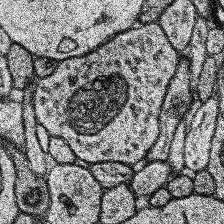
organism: Human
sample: Temporal Lobe